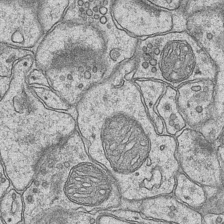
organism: Mouse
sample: CA1 Hippocampus